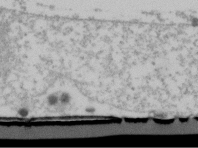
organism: Human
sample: U2-OS cells